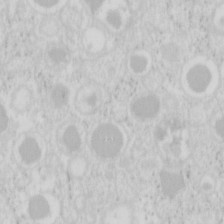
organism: Mouse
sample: Pancreas